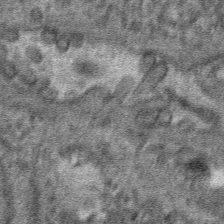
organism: Mouse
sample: Mouse hepatocytes